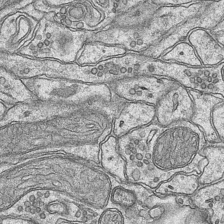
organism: Mouse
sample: CA1 Hippocampus